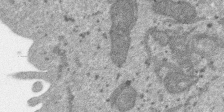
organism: Human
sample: Lung epithelial cells infected with SARS-CoV-2